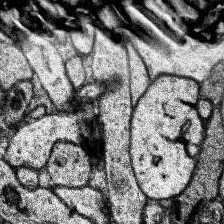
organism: Human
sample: Temporal Lobe